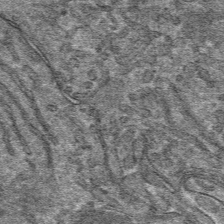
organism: Mouse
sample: Mouse hepatocytes